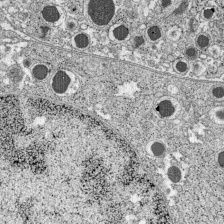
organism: C57BL Mouse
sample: Pancreatic islet